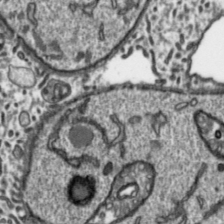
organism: Toxoplasma gondii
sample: Parasites in a vacuole inside a host cell